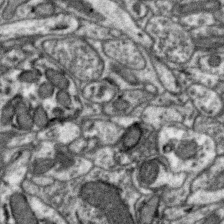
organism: Zebra finch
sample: Brain